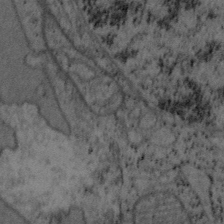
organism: Human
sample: HeLa cells